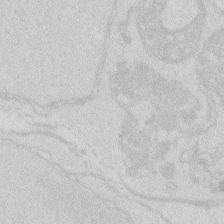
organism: Zebrafish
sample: Macrophage